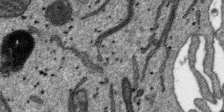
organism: Human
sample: Lung epithelial cells, uninfected (mock) control